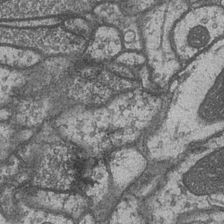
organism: Drosophila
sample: Optic medulla